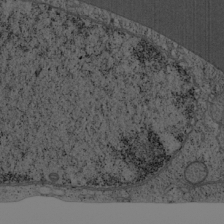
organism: African green monkey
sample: COS-7 cells